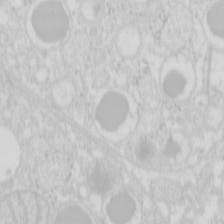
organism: Mouse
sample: Pancreas